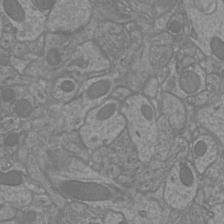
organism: Mouse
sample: Cortical neurons